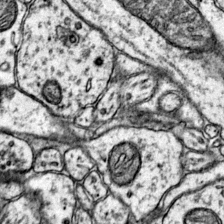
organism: Mouse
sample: Primary visual cortex